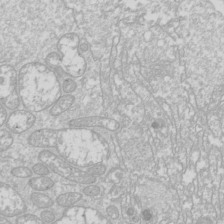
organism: Drosophila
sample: Cell division; meiosis; drosophila spermatocytes